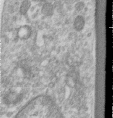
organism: Human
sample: Centriole in RPE cells